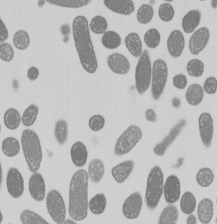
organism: E. coli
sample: Bacterial nucleoid